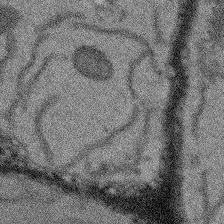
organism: Arabidopsis thaliana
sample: Root tip